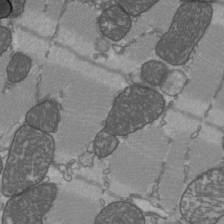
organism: C57BL Mouse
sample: Heart